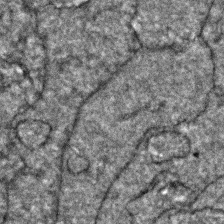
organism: Zebrafish